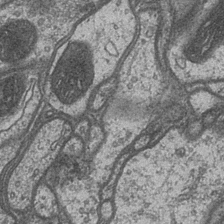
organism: Drosophila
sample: Optic medulla